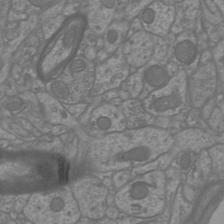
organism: Mouse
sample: Cortical neurons